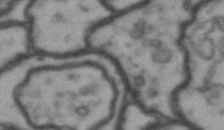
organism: Drosophila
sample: Brain